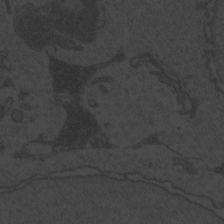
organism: Zebrafish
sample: Macrophage infected with Toxoplasma gondii